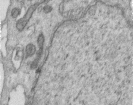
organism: Human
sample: Centriole in RPE cells